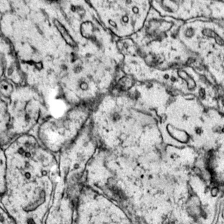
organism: Mouse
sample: Primary visual cortex